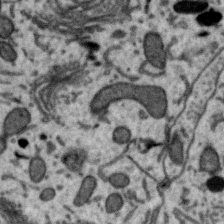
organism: Zebra finch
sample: Brain